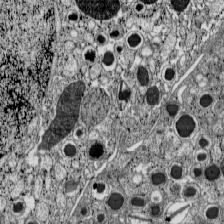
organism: C57BL Mouse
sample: Pancreatic islet